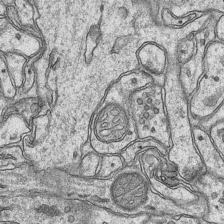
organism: Mouse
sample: CA1 Hippocampus